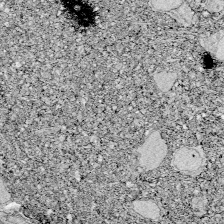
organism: Zebrafish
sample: Whole-Brain